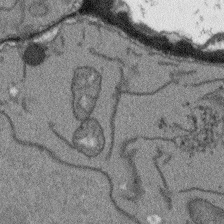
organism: Arabidopsis thaliana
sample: Root tip